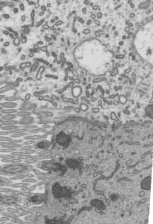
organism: Mouse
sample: Mouse epididymis efferent ductule cilia